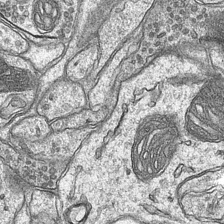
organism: Mouse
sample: CA1 Hippocampus